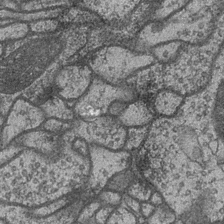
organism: Drosophila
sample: Optic medulla